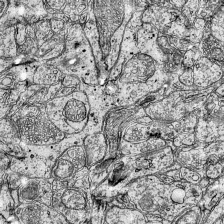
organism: Mouse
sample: Visual Cortex